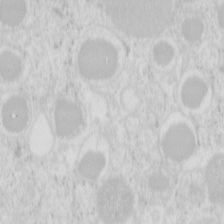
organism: Mouse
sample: Pancreas